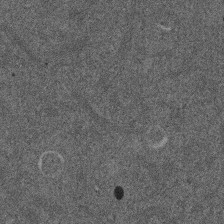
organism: Mouse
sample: Dividing mouse embryo 1 cell stage